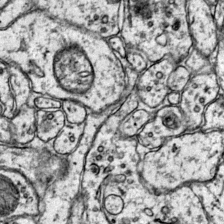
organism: Mouse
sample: Primary visual cortex